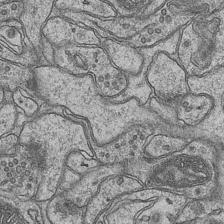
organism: Mouse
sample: CA1 Hippocampus